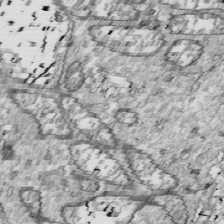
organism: Drosophila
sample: Cell division; meiosis; drosophila spermatocytes